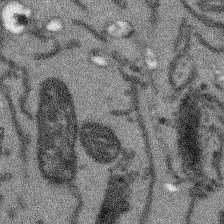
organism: Arabidopsis thaliana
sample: Root tip